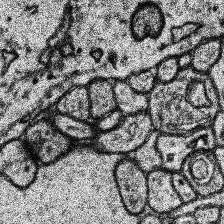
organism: Human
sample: Temporal Lobe